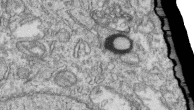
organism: Human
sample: HeLa cell HIV synapse